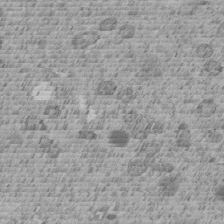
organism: C. elegans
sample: C. elegans embryo early stage